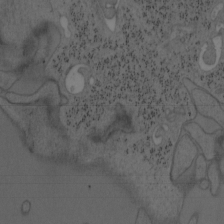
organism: Mouse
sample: OT-I killer T cells with ID8 ovarian cancer cells